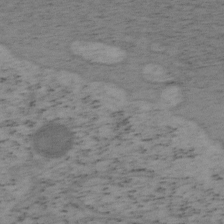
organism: Mouse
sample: OT-I killer T cells with ID8 ovarian cancer cells